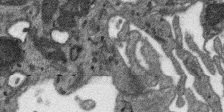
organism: Human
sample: Lung epithelial cells infected with SARS-CoV-2